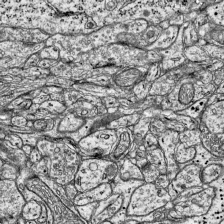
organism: Mouse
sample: Visual Cortex